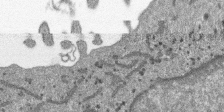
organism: Human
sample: Lung epithelial cells infected with SARS-CoV-2